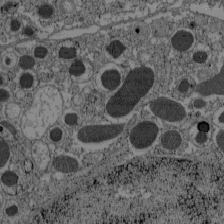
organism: C57BL Mouse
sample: Pancreatic islet